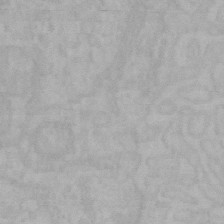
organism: Mouse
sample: Choroid plexus